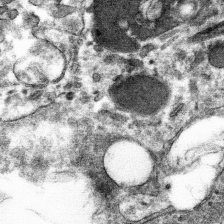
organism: Mouse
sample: Mouse hepatocytes